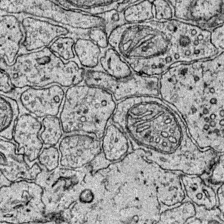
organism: Mouse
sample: Primary visual cortex